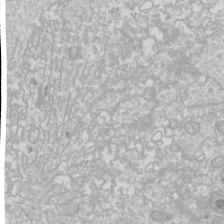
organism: Drosophila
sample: Cell division; meiosis; drosophila spermatocytes